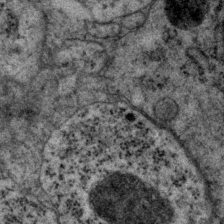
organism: P. pacificus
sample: Pharynx